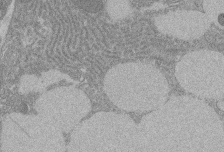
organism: Rat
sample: Salivary granule